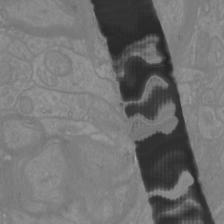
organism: Mouse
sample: Cortical neurons